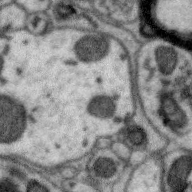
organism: Zebra finch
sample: Brain